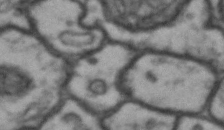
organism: Drosophila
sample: Brain